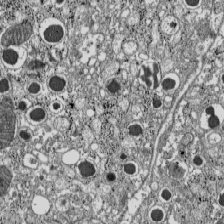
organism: C57BL Mouse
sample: Pancreatic islet